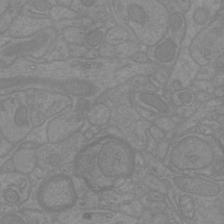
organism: Mouse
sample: Cortical neurons